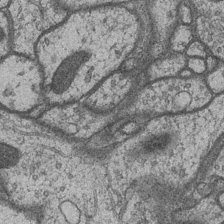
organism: Drosophila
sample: Optic medulla